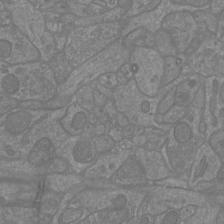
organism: Mouse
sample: Cortical neurons